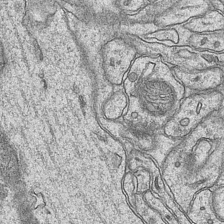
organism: Mouse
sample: CA1 Hippocampus